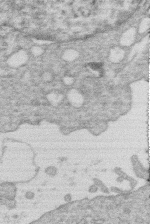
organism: Human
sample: Macrophage cells